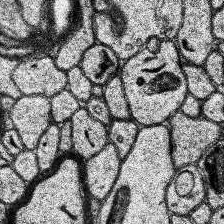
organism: Human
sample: Temporal Lobe